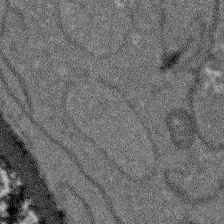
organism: Arabidopsis thaliana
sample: Root tip